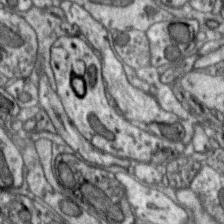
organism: Zebra finch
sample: Brain